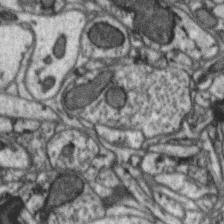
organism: Zebra finch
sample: Brain